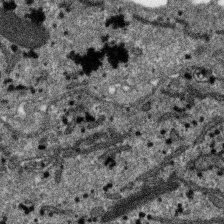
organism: Human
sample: Lung epithelial cells infected with SARS-CoV-2